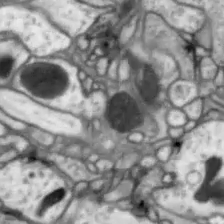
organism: Drosophila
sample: Optic lobe